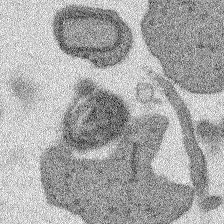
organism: Human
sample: HeLa cells